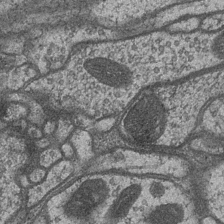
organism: Drosophila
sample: Optic medulla